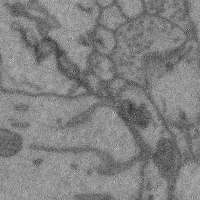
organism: Mouse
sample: Cerebral cortex